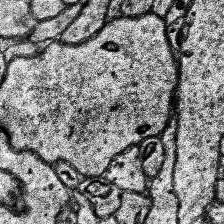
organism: Human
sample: Temporal Lobe